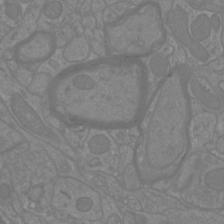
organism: Mouse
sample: Cortical neurons